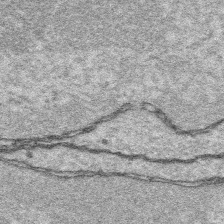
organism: Platynereis dumerilii